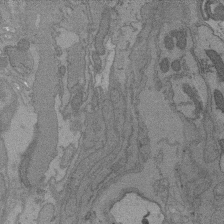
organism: C. elegans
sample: AFD neurons C. elegans